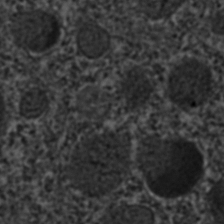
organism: C. elegans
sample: C. elegans embryo